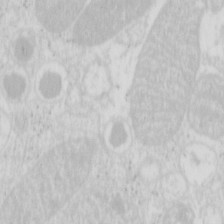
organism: Mouse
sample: Pancreas